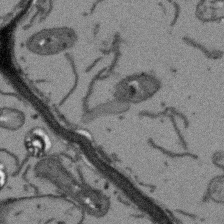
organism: Arabidopsis thaliana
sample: Root tip